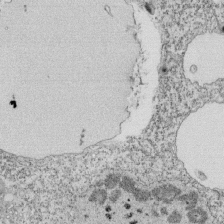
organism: Tetrahymena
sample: Cilia in tetrahymena